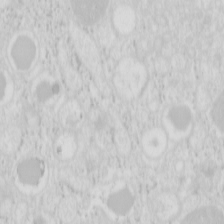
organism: Mouse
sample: Pancreas